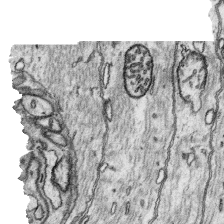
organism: Platynereis dumerilii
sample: Parapodia